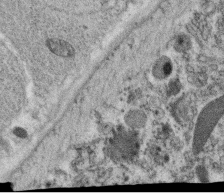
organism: C. elegans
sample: C. elegans oocyte; sperm cells